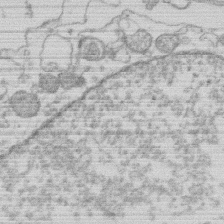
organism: Human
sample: Macrophage cells